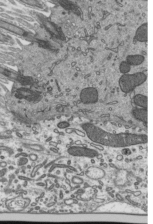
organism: Mouse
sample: Mouse epididymis efferent ductule cilia